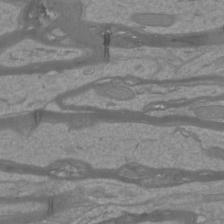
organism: Mouse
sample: Cortical neurons